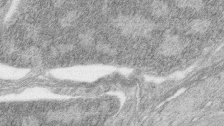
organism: Zebrafish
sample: synaptic ribbons in rod cells and cone cells